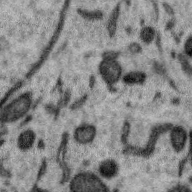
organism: Zebra finch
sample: Brain